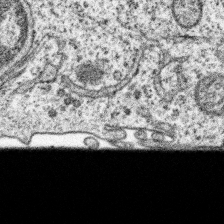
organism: Human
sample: HeLa cells